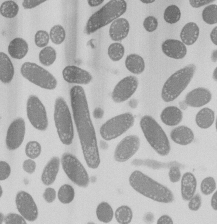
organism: E. coli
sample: Bacterial nucleoid